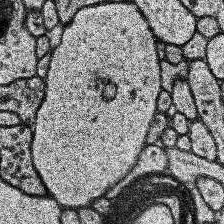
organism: Human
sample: Temporal Lobe